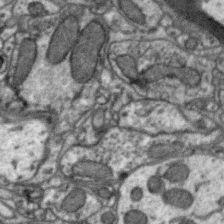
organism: Zebra finch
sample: Brain